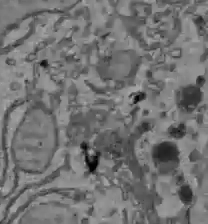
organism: C57BL Mouse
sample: Liver